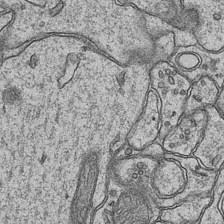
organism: Mouse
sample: CA1 Hippocampus